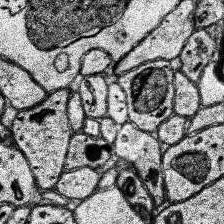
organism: Human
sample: Temporal Lobe